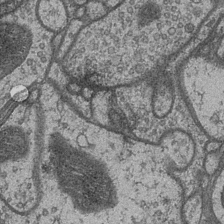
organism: Drosophila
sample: Optic medulla